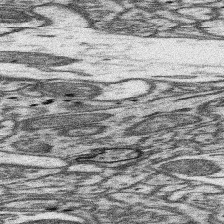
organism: Mouse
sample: Somatosensory cortex neuropil